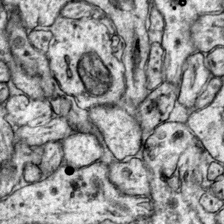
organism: Mouse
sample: Primary visual cortex